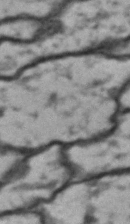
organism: Drosophila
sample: Brain